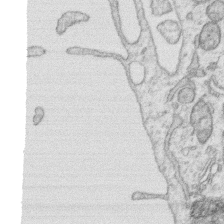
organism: Human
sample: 1205lu cells